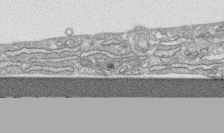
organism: Human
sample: CRL-1474